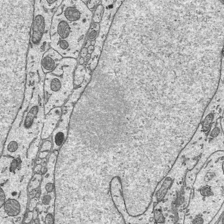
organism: Mouse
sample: Suprachiasmatic nucleus